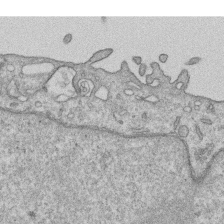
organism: Human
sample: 1205lu cells